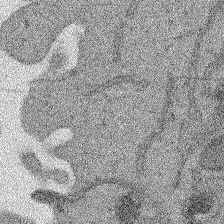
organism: Human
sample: HeLa cells